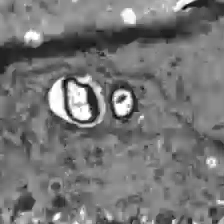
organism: C57BL Mouse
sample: Liver